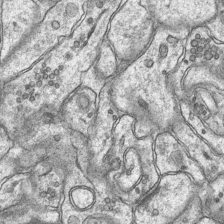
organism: Mouse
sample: CA1 Hippocampus